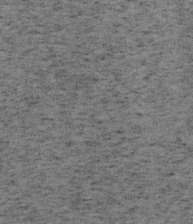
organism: Mouse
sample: OT-I killer T cells with ID8 ovarian cancer cells